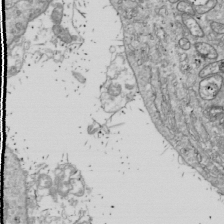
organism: Drosophila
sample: Cell division; meiosis; drosophila spermatocytes